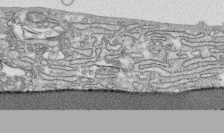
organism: Human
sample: CRL-1474